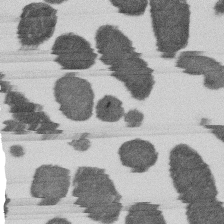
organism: E. coli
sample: Bacterial nucleoid